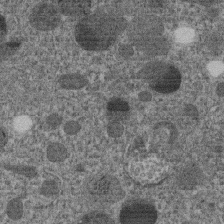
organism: C. elegans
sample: C. elegans embryo early stage